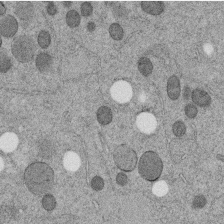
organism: C. elegans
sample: C. elegans embryo early stage